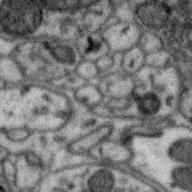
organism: Zebra finch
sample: Brain